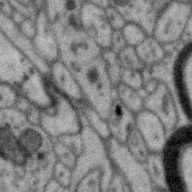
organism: Zebra finch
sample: Brain